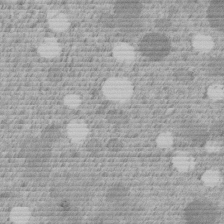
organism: C. elegans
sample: C. elegans embryo early stage